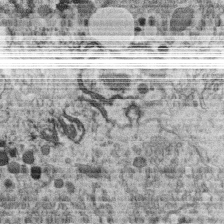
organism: C. elegans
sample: C. elegans oocyte; sperm cells